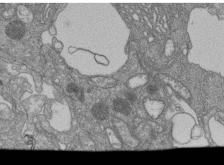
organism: Human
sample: Retinal organoid Rod and Cone cells